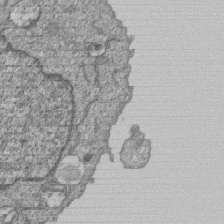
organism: Human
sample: MDA-MB-231 cells